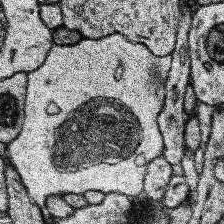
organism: Human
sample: Temporal Lobe